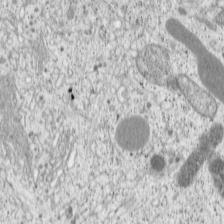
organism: African green monkey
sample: COS-7 cells